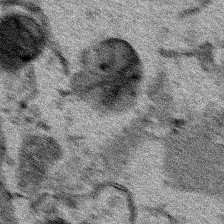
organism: Human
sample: Mitochondria in HCT116 cells